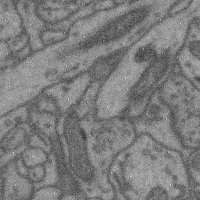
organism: Mouse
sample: Cerebral cortex